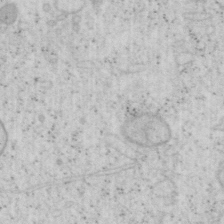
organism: Human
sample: HeLa cells